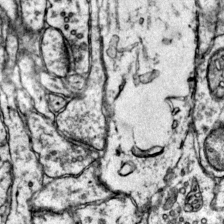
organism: Mouse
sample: Primary visual cortex